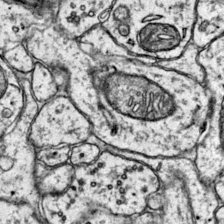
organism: Mouse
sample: Primary visual cortex